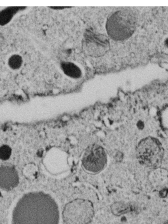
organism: C. elegans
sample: C. elegans embryo early stage